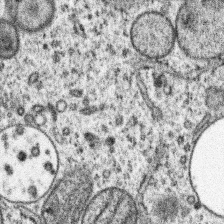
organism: Human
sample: HeLa cells